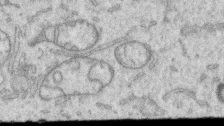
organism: Human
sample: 1205lu cells